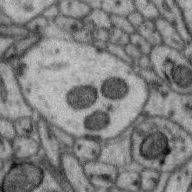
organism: Zebra finch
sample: Brain